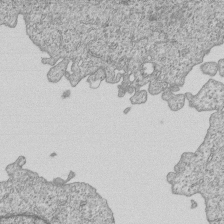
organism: Human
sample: MDA-MB-231 cells